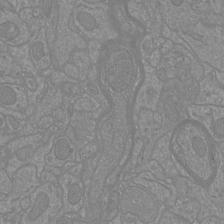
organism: Mouse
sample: Cortical neurons